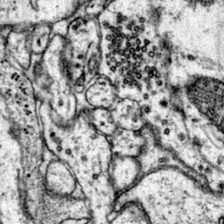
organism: Mouse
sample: Primary visual cortex